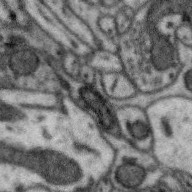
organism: Zebra finch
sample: Brain